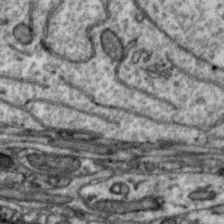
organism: Zebra finch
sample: Brain